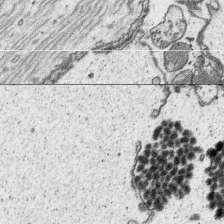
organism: Platynereis dumerilii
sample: Parapodia